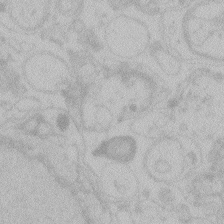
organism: Zebrafish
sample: Macrophage infected with Toxoplasma gondii